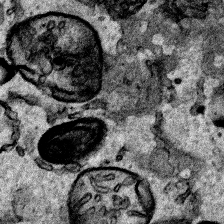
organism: Human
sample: Mitochondria in HCT116 cells